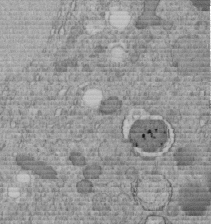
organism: C. elegans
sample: C. elegans embryo early stage